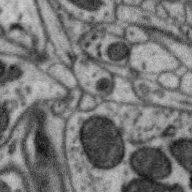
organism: Zebra finch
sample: Brain